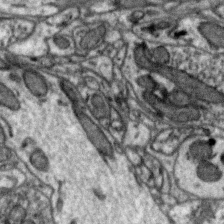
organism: Zebra finch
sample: Brain